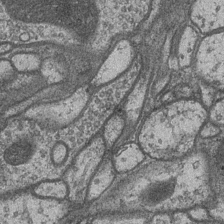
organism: Drosophila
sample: Optic medulla